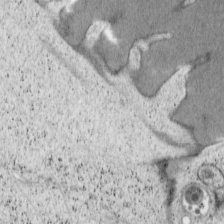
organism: African green monkey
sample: COS-7 cells